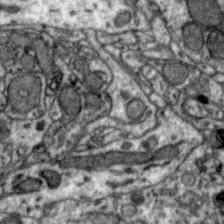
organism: Zebra finch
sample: Brain